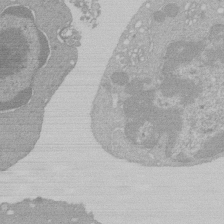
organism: Mouse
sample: Activated Pmel transgenic CD8+ T Cells